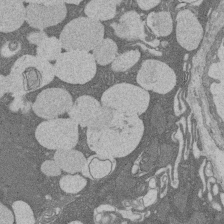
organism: Rat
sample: Salivary granule